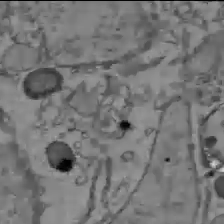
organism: C57BL Mouse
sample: Liver